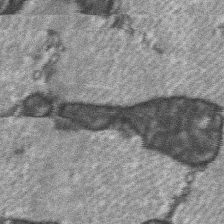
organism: C57BL Mouse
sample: Soleus